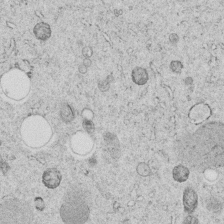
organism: C. elegans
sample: C. elegans embryo early stage